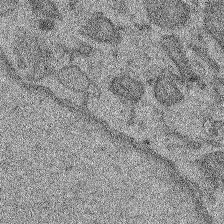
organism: Human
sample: HeLa cells